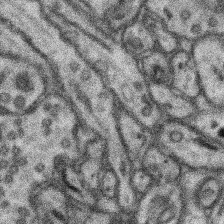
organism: Mouse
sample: Somatosensory cortex neuropil